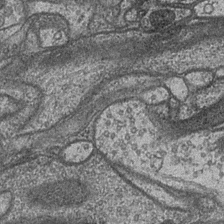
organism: Drosophila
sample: Optic medulla